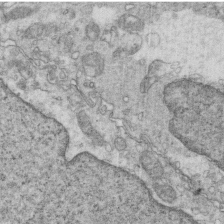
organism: Mouse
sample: Multiciliated cells